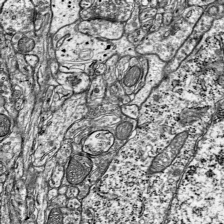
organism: Mouse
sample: Visual Cortex